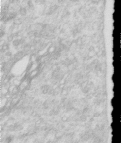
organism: Human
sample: Centriole in RPE cells